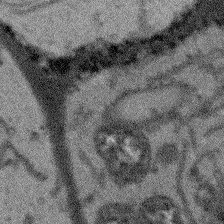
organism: Arabidopsis thaliana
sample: Root tip